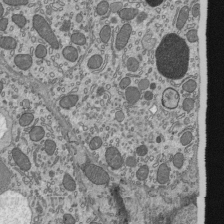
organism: Mouse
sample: Mouse epididymis efferent ductule cilia